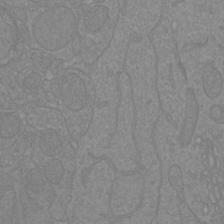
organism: Mouse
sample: Cortical neurons